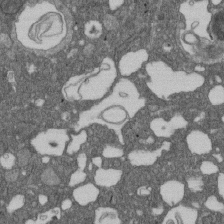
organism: Drosophila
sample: Nephrocyte